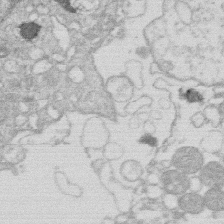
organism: Human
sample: Macrophage cells